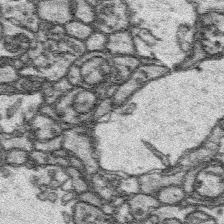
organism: Platynereis dumerilii